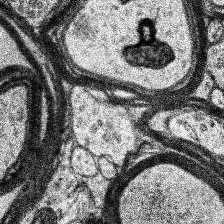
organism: Human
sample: Temporal Lobe